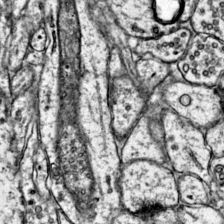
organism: Mouse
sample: Primary visual cortex